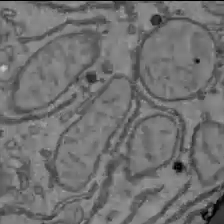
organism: C57BL Mouse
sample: Liver